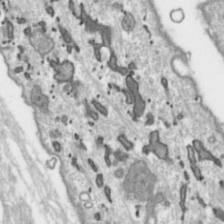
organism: Toxoplasma gondii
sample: Parasites in a vacuole inside a host cell